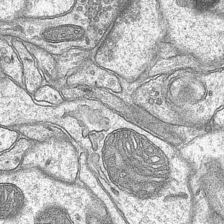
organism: Mouse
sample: CA1 Hippocampus